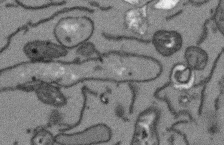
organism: Arabidopsis thaliana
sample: Root tip